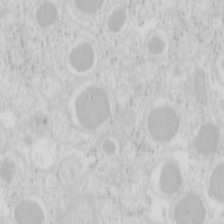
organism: Mouse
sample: Pancreas